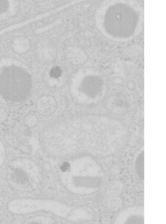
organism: Mouse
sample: Pancreas